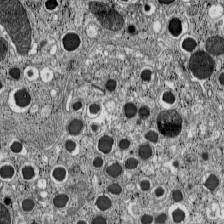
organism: C57BL Mouse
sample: Pancreatic islet